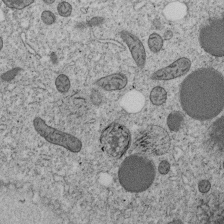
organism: C. elegans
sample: C. elegans embryo early stage